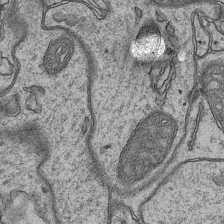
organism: Mouse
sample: CA1 Hippocampus